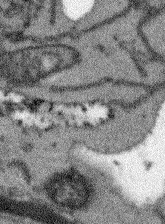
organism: Arabidopsis thaliana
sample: Root tip